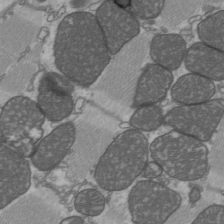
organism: C57BL Mouse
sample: Heart